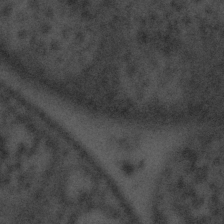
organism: Tuwongella immobilis